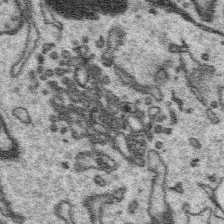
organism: Platynereis dumerilii